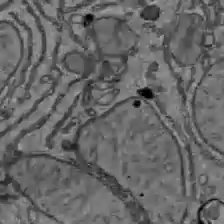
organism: C57BL Mouse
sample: Liver